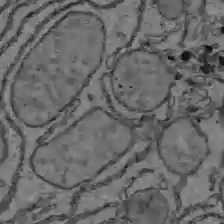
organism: C57BL Mouse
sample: Liver